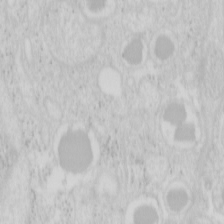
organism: Mouse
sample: Pancreas